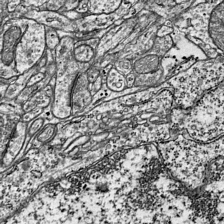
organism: Mouse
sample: Visual Cortex